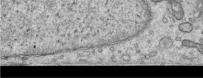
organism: Human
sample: Centriole in RPE cells